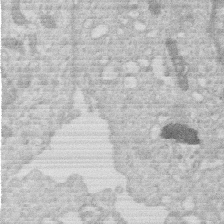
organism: Human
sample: Macrophage cells